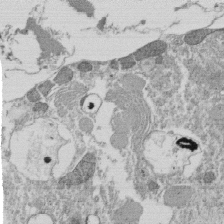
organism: Tetrahymena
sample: Cilia in tetrahymena